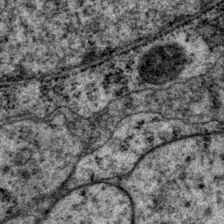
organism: P. pacificus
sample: Pharynx